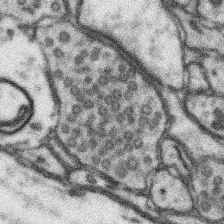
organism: Mouse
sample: Somatosensory cortex neuropil